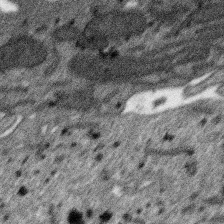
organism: Human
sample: Lung epithelial cells infected with SARS-CoV-2